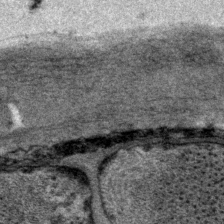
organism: P. pacificus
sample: Pharynx